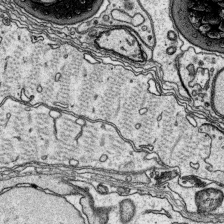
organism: Platynereis dumerilii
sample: Parapodia